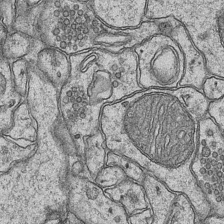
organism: Mouse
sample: CA1 Hippocampus